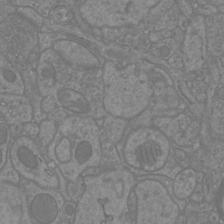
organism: Mouse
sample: Cortical neurons